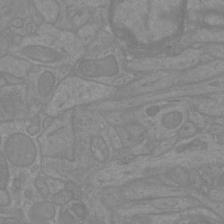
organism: Mouse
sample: Cortical neurons